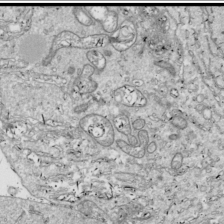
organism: Drosophila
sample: Cell division; meiosis; drosophila spermatocytes